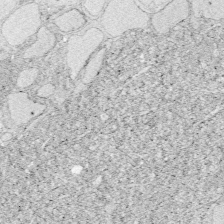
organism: Zebrafish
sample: Whole-Brain